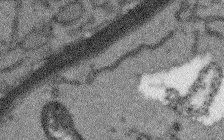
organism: Arabidopsis thaliana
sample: Root tip